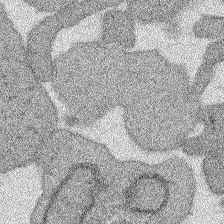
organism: Human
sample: HeLa cells